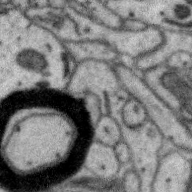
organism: Zebra finch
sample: Brain